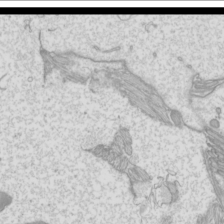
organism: Mouse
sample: Cilia; mouse epididymis